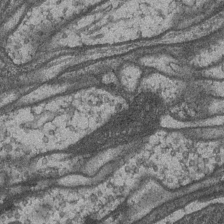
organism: Drosophila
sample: Optic medulla